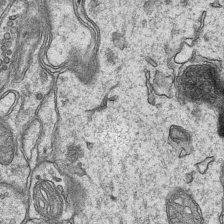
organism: Mouse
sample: CA1 Hippocampus